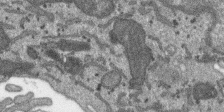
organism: Human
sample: Lung epithelial cells infected with SARS-CoV-2